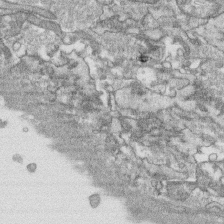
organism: Human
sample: CRL-1474